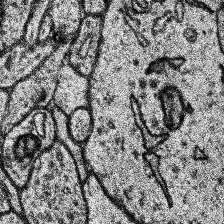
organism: Human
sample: Temporal Lobe